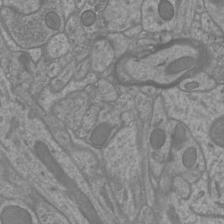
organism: Mouse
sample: Cortical neurons